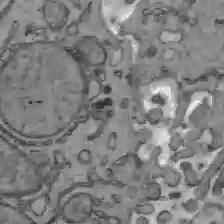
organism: C57BL Mouse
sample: Liver